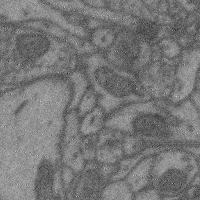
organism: Mouse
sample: Cerebral cortex